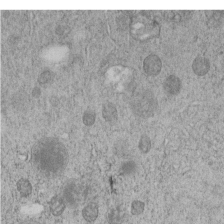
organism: C. elegans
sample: C. elegans embryo early stage